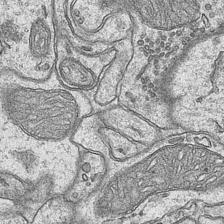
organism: Mouse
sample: CA1 Hippocampus